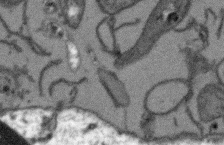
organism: Arabidopsis thaliana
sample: Root tip